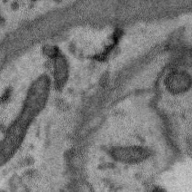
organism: Zebra finch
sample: Brain